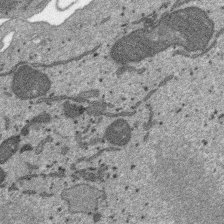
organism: Human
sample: Lung epithelial cells infected with SARS-CoV-2